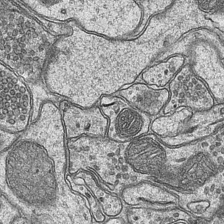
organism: Mouse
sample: CA1 Hippocampus